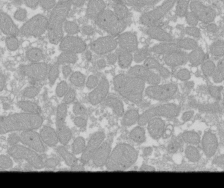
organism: Xenopus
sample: Cilia; centrioles in frog embryo cells